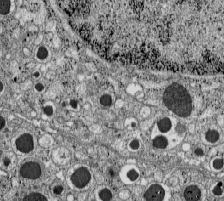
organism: C57BL Mouse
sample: Pancreatic islet